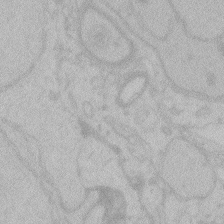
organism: Zebrafish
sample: Macrophage infected with Toxoplasma gondii